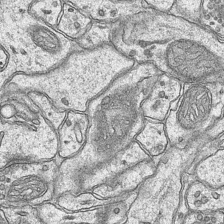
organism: Mouse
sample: CA1 Hippocampus